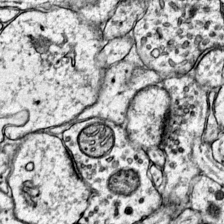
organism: Mouse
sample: Primary visual cortex